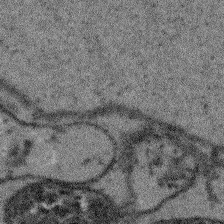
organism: Arabidopsis thaliana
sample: Root tip